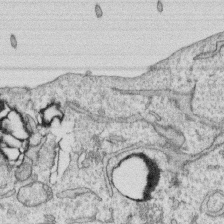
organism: Human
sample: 1205lu cells